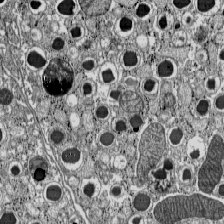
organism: C57BL Mouse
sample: Pancreatic islet